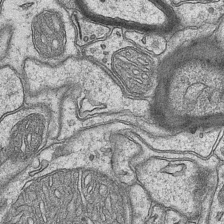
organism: Mouse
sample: CA1 Hippocampus